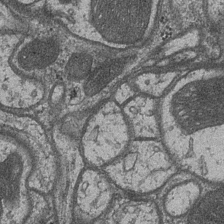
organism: Drosophila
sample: Optic medulla